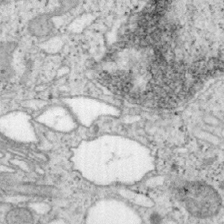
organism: Mouse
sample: OT-I killer T cells with ID8 ovarian cancer cells